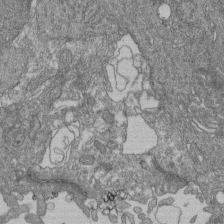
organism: Human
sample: Retinal organoid Rod and Cone cells